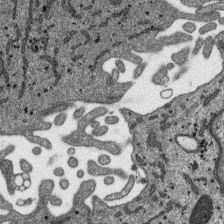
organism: Human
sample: Lung epithelial cells infected with SARS-CoV-2